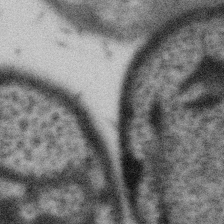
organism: Gemmata obscuriglobus